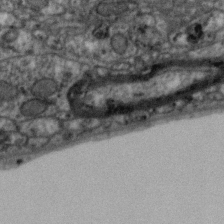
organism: Zebra finch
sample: Brain